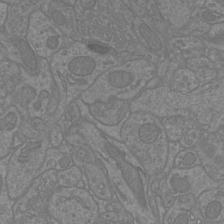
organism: Mouse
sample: Cortical neurons